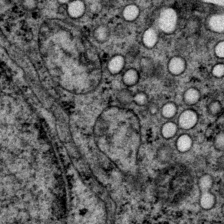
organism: P. pacificus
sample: Pharynx